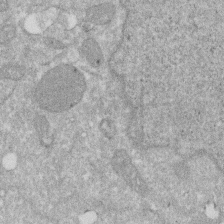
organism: Human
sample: HIV infected U937 cells